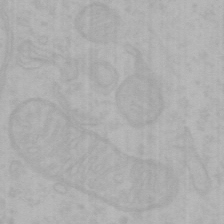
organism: Mouse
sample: Choroid plexus